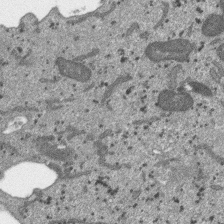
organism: Human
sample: Lung epithelial cells infected with SARS-CoV-2